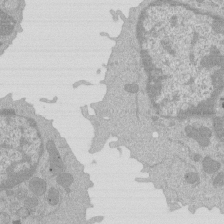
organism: Mouse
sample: Activated Pmel transgenic CD8+ T Cells